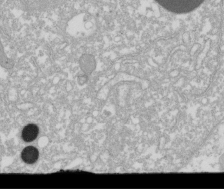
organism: Xenopus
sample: Cilia; centrioles in frog embryo cells